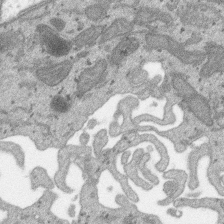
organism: Human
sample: Lung epithelial cells infected with SARS-CoV-2